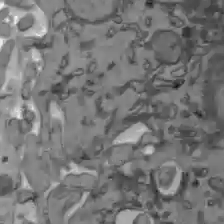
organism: C57BL Mouse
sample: Liver